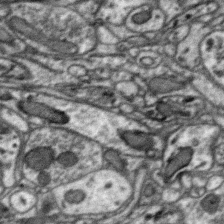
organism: Zebra finch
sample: Brain